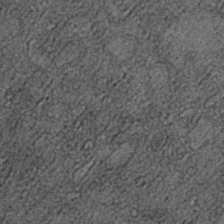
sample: Trachea